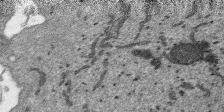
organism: Human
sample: Lung epithelial cells infected with SARS-CoV-2